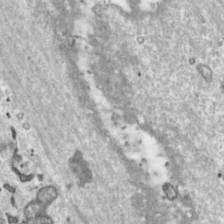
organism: Toxoplasma gondii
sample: Parasites in a vacuole inside a host cell